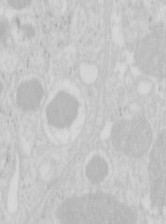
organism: Mouse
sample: Pancreas